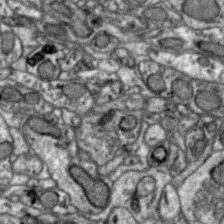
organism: Zebra finch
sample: Brain